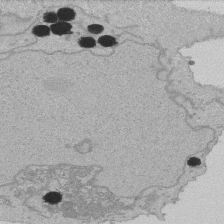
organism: Human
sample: Activated Jurkat CD4+ T cells